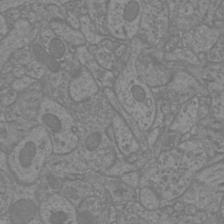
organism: Mouse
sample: Cortical neurons